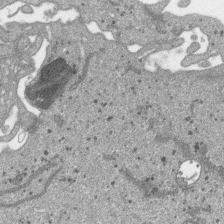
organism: Human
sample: Lung epithelial cells infected with SARS-CoV-2